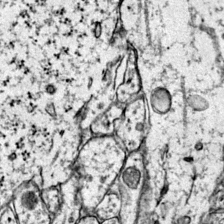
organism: Mouse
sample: Primary visual cortex